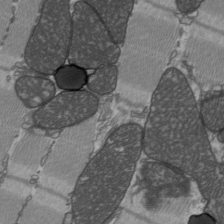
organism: C57BL Mouse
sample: Heart